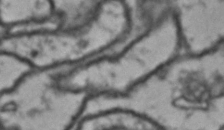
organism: Drosophila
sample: Brain